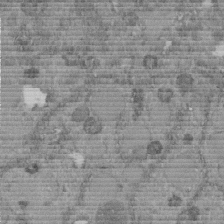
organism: C. elegans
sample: C. elegans embryo early stage